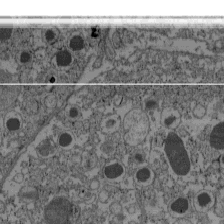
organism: C57BL Mouse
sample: Pancreatic islet